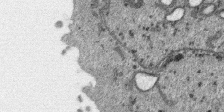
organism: Human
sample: Lung epithelial cells infected with SARS-CoV-2